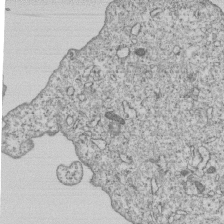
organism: Human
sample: MDA-MB-231 cells